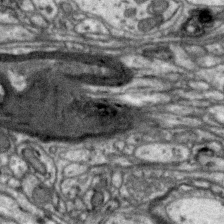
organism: Zebra finch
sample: Brain